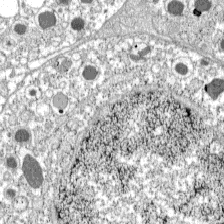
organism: C57BL Mouse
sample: Pancreatic islet